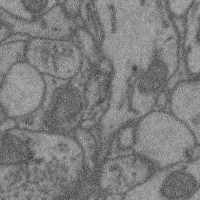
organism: Mouse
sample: Cerebral cortex